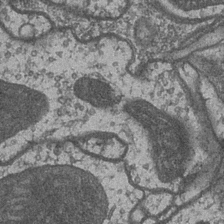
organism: Drosophila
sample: Optic medulla